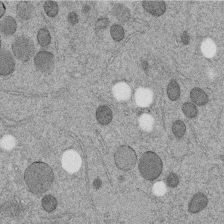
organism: C. elegans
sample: C. elegans embryo early stage